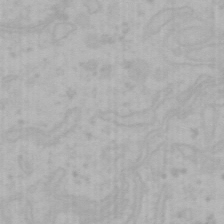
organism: Mouse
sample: Choroid plexus